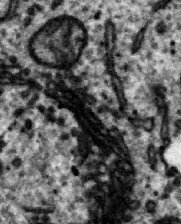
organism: Human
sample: HeLa cells